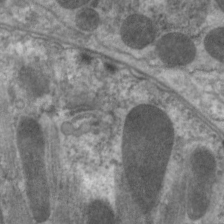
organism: C. elegans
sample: Pharynx